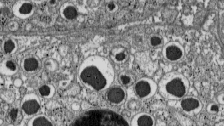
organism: C57BL Mouse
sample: Pancreatic islet